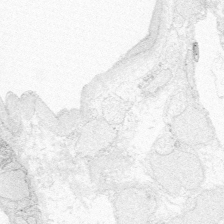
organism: Zebrafish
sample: Whole-Brain